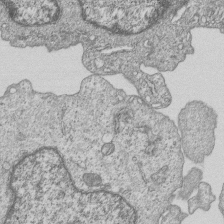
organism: Human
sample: MDA-MB-231 cells